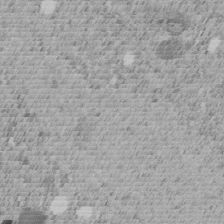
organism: C. elegans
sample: C. elegans embryo early stage